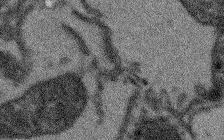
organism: Arabidopsis thaliana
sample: Root tip